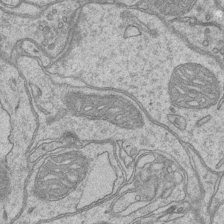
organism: Mouse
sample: CA1 Hippocampus